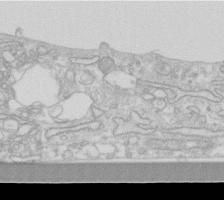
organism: Human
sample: Fibroblast cells